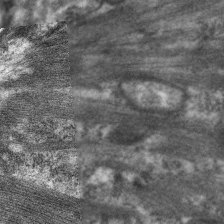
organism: C. elegans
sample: Pharynx